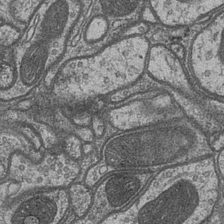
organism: Drosophila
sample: Optic medulla